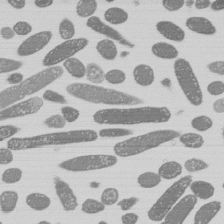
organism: E. coli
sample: Bacterial nucleoid